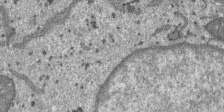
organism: Human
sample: Lung epithelial cells infected with SARS-CoV-2